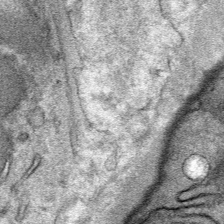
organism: Mouse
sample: Mouse Salivary gland